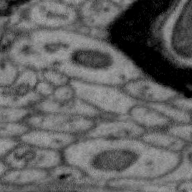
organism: Zebra finch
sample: Brain